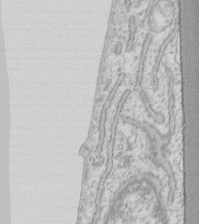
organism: Human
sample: Fibroblast cells